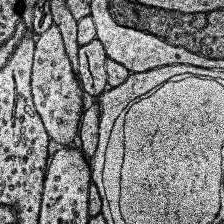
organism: Human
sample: Temporal Lobe